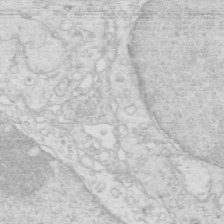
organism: Mouse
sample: Multiciliated cells